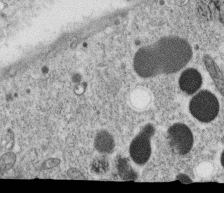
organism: C. elegans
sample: C. elegans oocyte; sperm cells